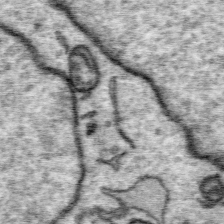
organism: Human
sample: HeLa cells